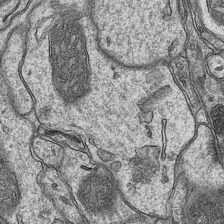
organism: Mouse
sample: CA1 Hippocampus